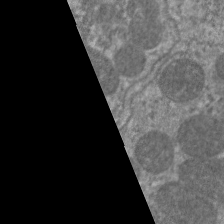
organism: C. elegans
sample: Pharynx